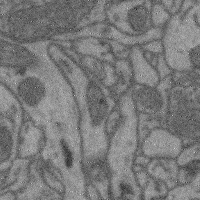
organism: Mouse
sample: Cerebral cortex